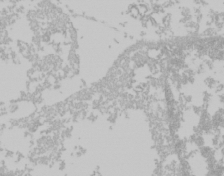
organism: Mouse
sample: Cancer cell death in ED-1 cells